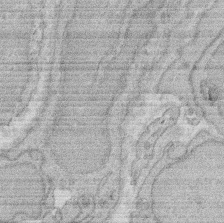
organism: Rat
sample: Salivary granule